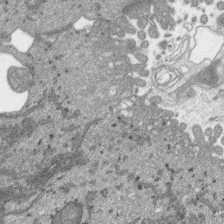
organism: Human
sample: Lung epithelial cells infected with SARS-CoV-2